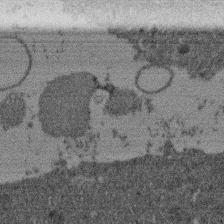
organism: Mouse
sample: Dividing mouse embryo 1 cell stage